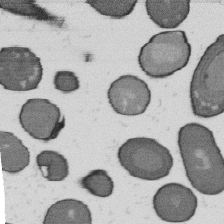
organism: B. subtilis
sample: Bacterial spore